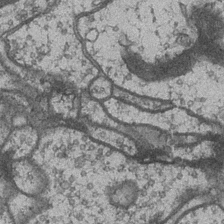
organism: Drosophila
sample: Optic medulla